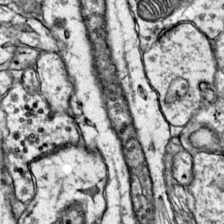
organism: Mouse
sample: Primary visual cortex